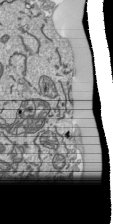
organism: Human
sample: Mitochondria in HCT116 cells